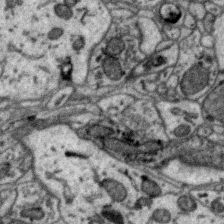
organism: Zebra finch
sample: Brain